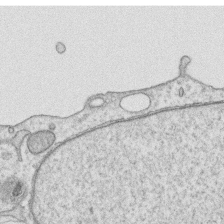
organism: Human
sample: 1205lu cells